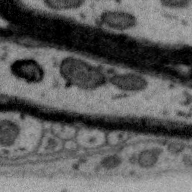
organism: Zebra finch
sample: Brain